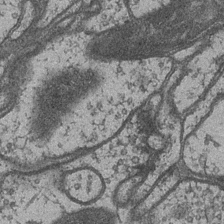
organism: Drosophila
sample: Optic medulla